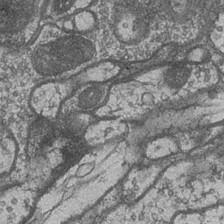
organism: Drosophila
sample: Optic medulla